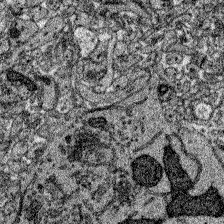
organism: Zebrafish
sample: Larval olfactory bulb